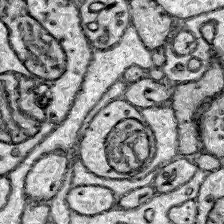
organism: Zebrafish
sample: Brain